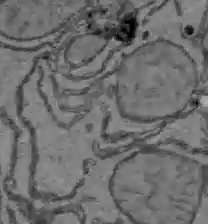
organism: C57BL Mouse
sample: Liver